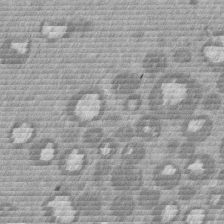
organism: Mouse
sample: Dividing mouse embryo 1 cell stage